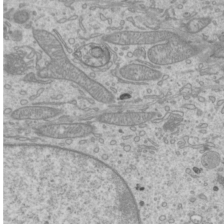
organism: Mouse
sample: Cilia; mouse epididymis